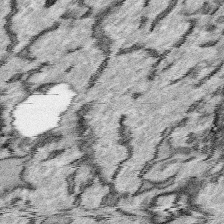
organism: Human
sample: HeLa cells